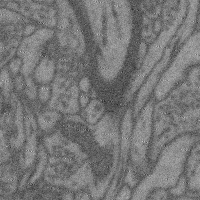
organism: Mouse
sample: Cerebral cortex